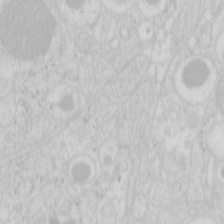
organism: Mouse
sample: Pancreas